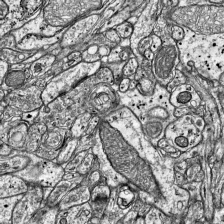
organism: Mouse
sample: Visual Cortex